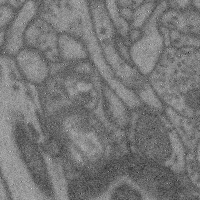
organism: Mouse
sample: Cerebral cortex